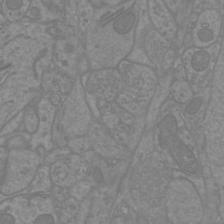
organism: Mouse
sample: Cortical neurons